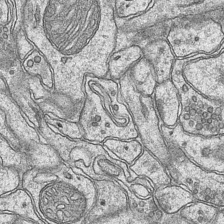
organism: Mouse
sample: CA1 Hippocampus